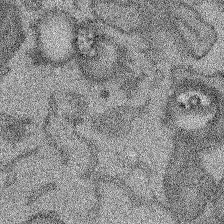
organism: Human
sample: HeLa cells